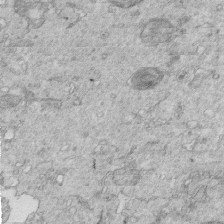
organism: Mouse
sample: Multiciliated cells